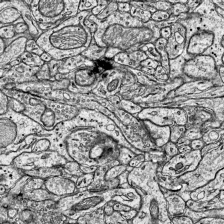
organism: Mouse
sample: Visual Cortex